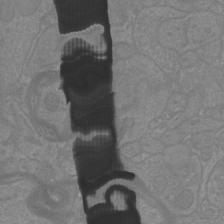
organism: Mouse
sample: Cortical neurons